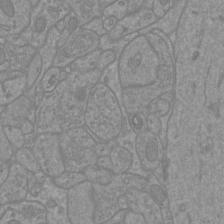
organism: Mouse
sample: Cortical neurons